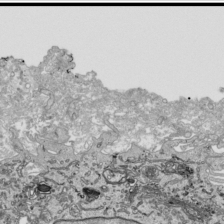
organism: Human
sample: Mitochondria in HCT116 cells